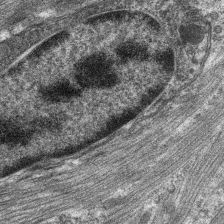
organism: C. elegans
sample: Pharynx